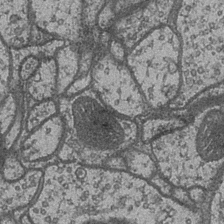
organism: Drosophila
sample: Optic medulla